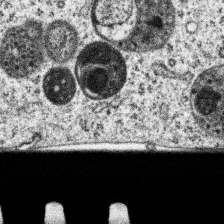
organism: Human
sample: HeLa cells